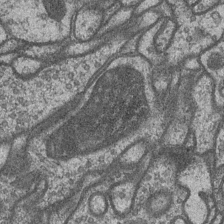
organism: Drosophila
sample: Optic medulla